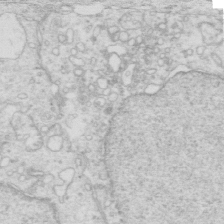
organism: Mouse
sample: Multiciliated cells